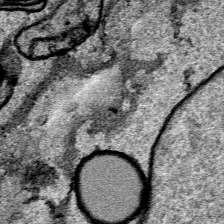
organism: Human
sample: Mitochondria in HCT116 cells